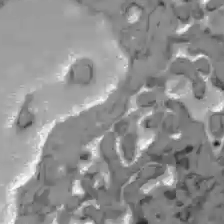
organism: C57BL Mouse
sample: Liver